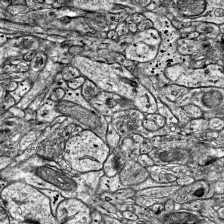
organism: Mouse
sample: Visual Cortex